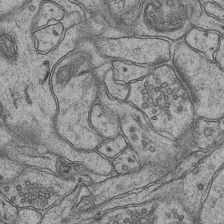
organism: Mouse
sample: CA1 Hippocampus